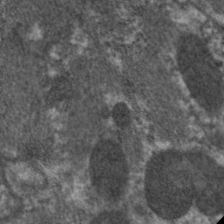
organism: C. elegans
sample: Pharynx